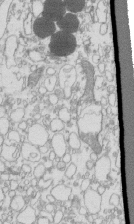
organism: Mouse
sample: Macrophages